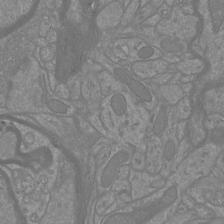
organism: Mouse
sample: Cortical neurons